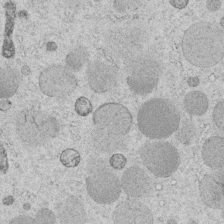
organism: C. elegans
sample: C. elegans embryo early stage